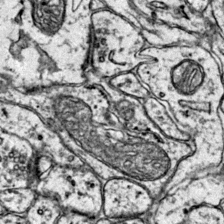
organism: Mouse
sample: Primary visual cortex